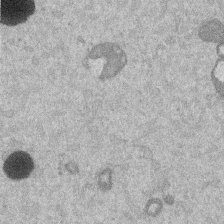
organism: Mouse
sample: Dividing mouse embryo 1 cell stage